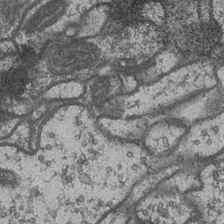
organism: Drosophila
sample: Optic medulla